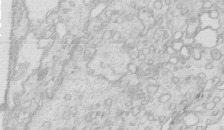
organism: Mouse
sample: Multiciliated cells